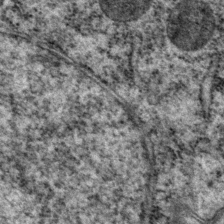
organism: P. pacificus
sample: Pharynx